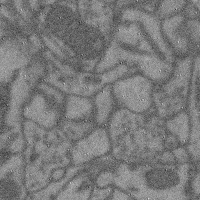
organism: Mouse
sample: Cerebral cortex